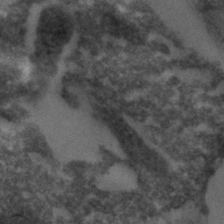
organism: C. elegans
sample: C. elegans embryo